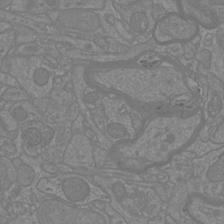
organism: Mouse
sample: Cortical neurons